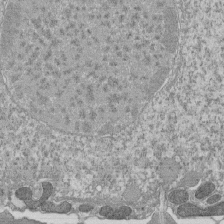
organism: Tetrahymena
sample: Cilia in tetrahymena